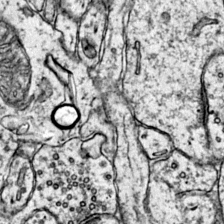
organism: Mouse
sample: Primary visual cortex